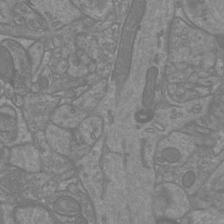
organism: Mouse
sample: Cortical neurons